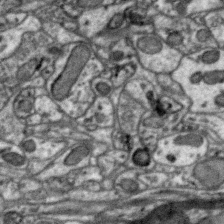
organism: Zebra finch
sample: Brain